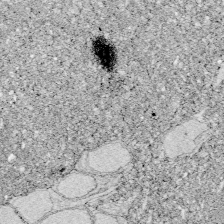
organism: Zebrafish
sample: Whole-Brain